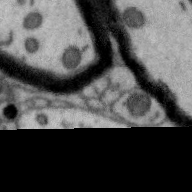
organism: Zebra finch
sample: Brain